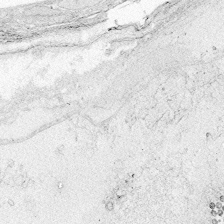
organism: Zebrafish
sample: Whole-Brain